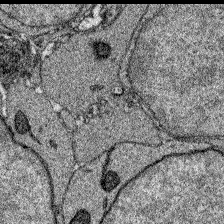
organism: Zebrafish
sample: Larval olfactory bulb